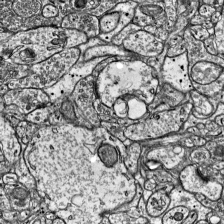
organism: Mouse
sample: Visual Cortex